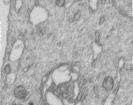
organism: Human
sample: Centriole in RPE cells